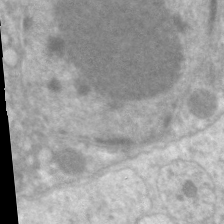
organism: C. elegans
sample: Pharynx